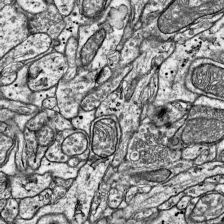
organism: Mouse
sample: Visual Cortex